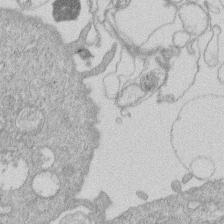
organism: Human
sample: Macrophage cells